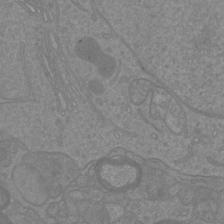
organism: Mouse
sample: Cortical neurons